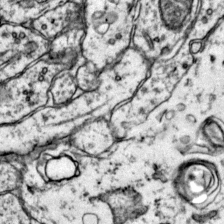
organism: Mouse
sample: Primary visual cortex